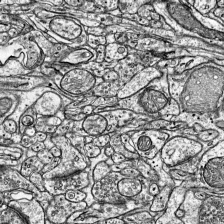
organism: Mouse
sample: Visual Cortex